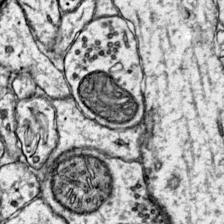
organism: Mouse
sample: Primary visual cortex